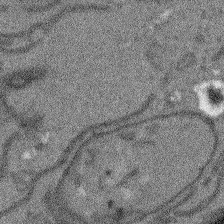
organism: Arabidopsis thaliana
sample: Root tip